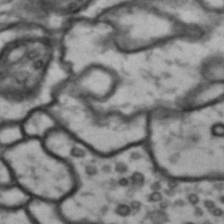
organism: Drosophila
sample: Brain